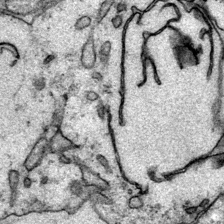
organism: Mouse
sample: Primary visual cortex